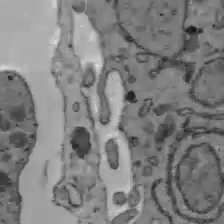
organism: C57BL Mouse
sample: Liver